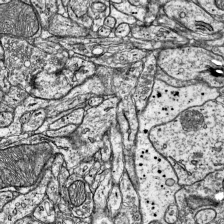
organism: Mouse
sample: Visual Cortex